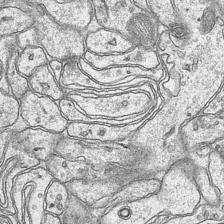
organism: Mouse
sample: CA1 Hippocampus